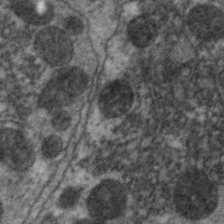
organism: C. elegans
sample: Pharynx